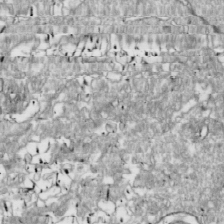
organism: Drosophila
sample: Cell division; meiosis; drosophila spermatocytes